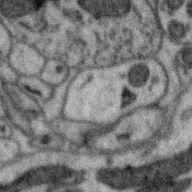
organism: Zebra finch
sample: Brain